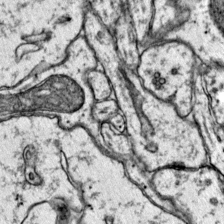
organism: Mouse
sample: Primary visual cortex